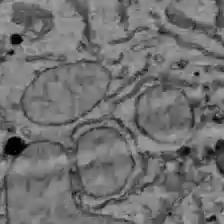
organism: C57BL Mouse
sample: Liver